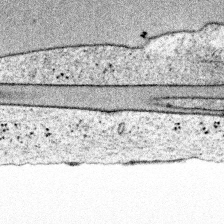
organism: Human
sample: HeLa cells